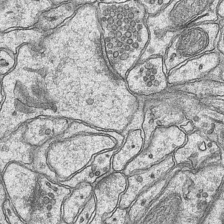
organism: Mouse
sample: CA1 Hippocampus